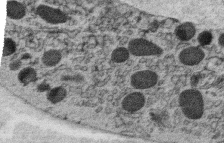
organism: C. elegans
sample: C. elegans oocyte; sperm cells